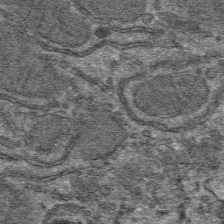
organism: Mouse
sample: Mouse hepatocytes